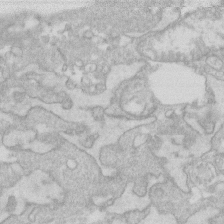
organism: Human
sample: Fibroblast cells